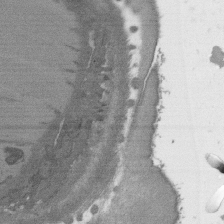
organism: C. elegans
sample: AFD neurons C. elegans